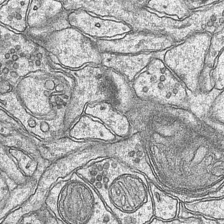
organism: Mouse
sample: CA1 Hippocampus